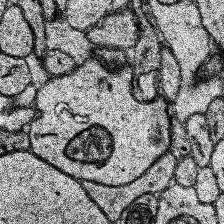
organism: Human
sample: Temporal Lobe